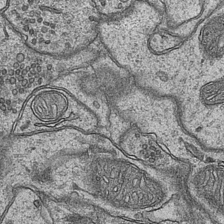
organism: Mouse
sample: CA1 Hippocampus